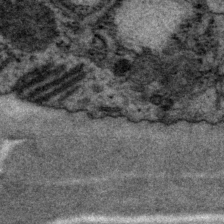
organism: P. pacificus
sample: Pharynx